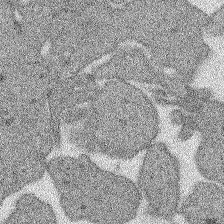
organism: Human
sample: HeLa cells